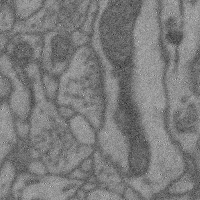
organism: Mouse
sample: Cerebral cortex